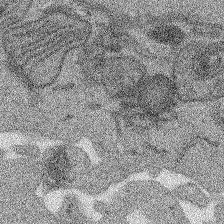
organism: Human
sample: HeLa cells